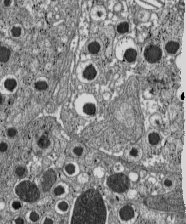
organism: C57BL Mouse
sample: Pancreatic islet